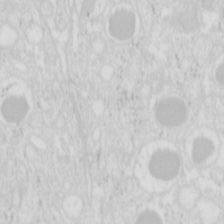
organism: Mouse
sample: Pancreas